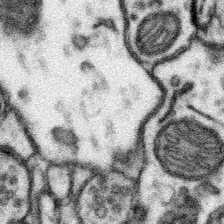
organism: Mouse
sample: Somatosensory cortex neuropil